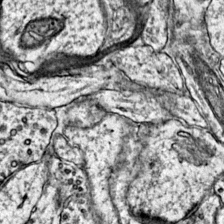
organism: Mouse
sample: Primary visual cortex